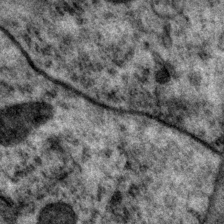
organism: P. pacificus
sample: Pharynx